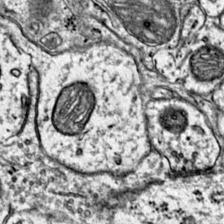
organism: Mouse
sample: Primary visual cortex